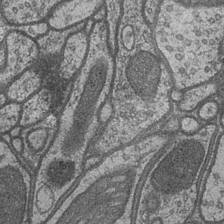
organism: Drosophila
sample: Optic medulla